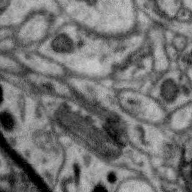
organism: Zebra finch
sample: Brain